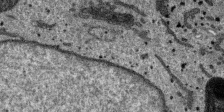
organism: Human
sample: Lung epithelial cells, uninfected (mock) control